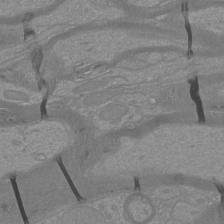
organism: Mouse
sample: Cortical neurons